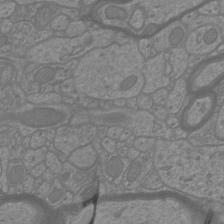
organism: Mouse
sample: Cortical neurons